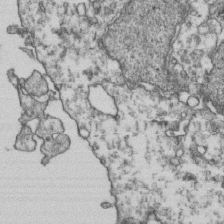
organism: Human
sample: Activated Jurkat CD4+ T cells